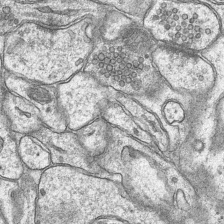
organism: Mouse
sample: CA1 Hippocampus